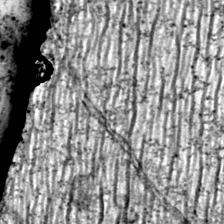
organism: Mouse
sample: Primary visual cortex